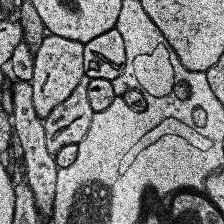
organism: Human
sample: Temporal Lobe